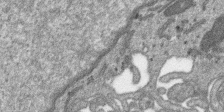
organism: Human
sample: Lung epithelial cells infected with SARS-CoV-2